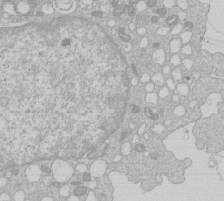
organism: Human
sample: Macrophage cells